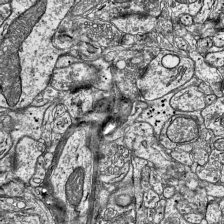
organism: Mouse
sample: Visual Cortex